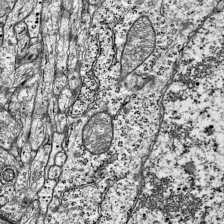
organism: Mouse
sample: Visual Cortex